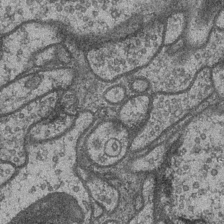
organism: Drosophila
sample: Optic medulla